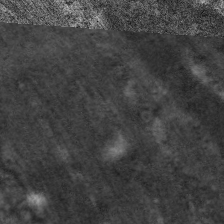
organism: C. elegans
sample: Pharynx